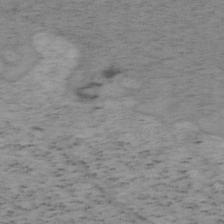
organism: Mouse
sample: OT-I killer T cells with ID8 ovarian cancer cells